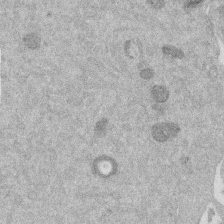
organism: Mouse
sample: Dividing mouse embryo 1 cell stage